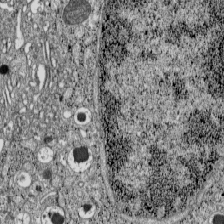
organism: C57BL Mouse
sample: Pancreatic islet